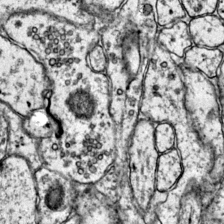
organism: Mouse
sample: Primary visual cortex